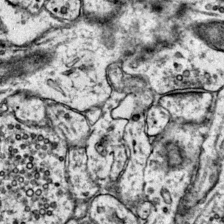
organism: Mouse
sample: Primary visual cortex